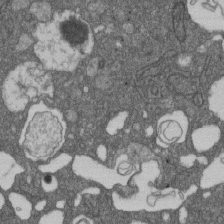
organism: Drosophila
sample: Nephrocyte